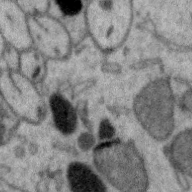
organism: Zebra finch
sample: Brain